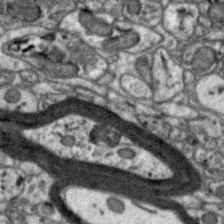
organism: Zebra finch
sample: Brain